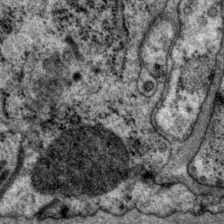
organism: P. pacificus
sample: Pharynx